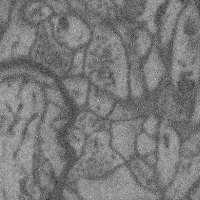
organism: Mouse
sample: Cerebral cortex